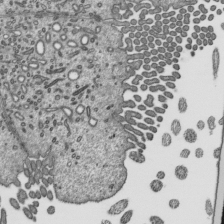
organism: Mouse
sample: Mouse epididymis efferent ductule cilia